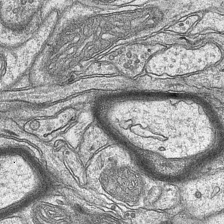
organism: Mouse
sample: CA1 Hippocampus